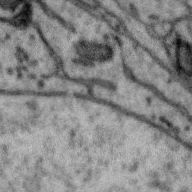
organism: Zebra finch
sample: Brain